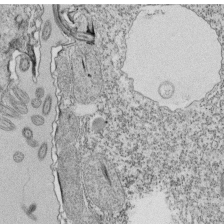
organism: Tetrahymena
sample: Cilia in tetrahymena